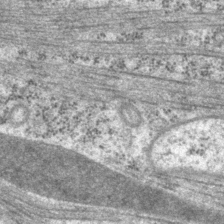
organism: P. pacificus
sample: Pharynx